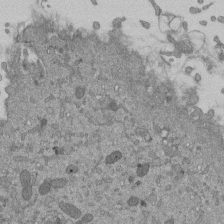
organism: Mouse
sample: ED-1 cell nuclei; centrioles